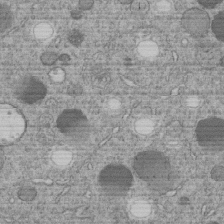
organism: C. elegans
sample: C. elegans embryo early stage